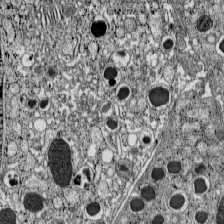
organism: C57BL Mouse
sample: Pancreatic islet